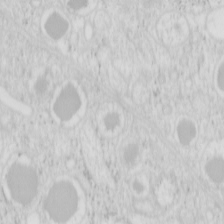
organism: Mouse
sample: Pancreas